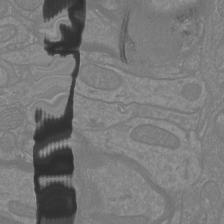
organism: Mouse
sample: Cortical neurons